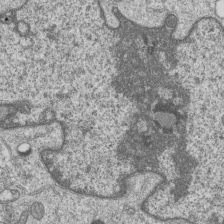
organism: Human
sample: MDA-MB-231 cells